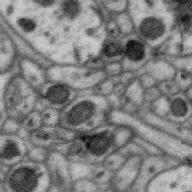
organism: Zebra finch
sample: Brain